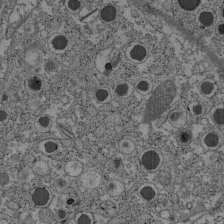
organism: C57BL Mouse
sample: Pancreatic islet